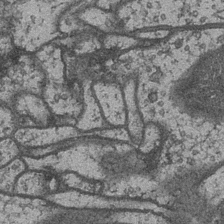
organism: Drosophila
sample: Optic medulla